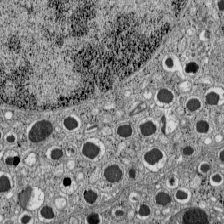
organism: C57BL Mouse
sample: Pancreatic islet